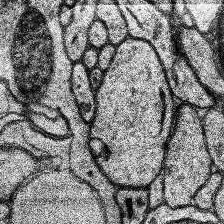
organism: Human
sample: Temporal Lobe